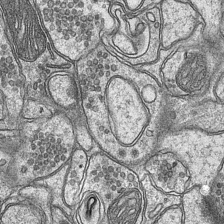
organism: Mouse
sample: CA1 Hippocampus